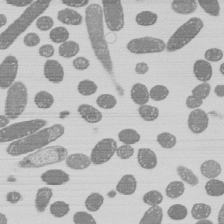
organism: E. coli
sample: Bacterial nucleoid